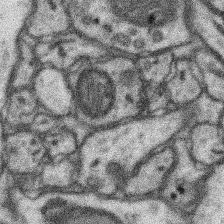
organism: Mouse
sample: Somatosensory cortex neuropil